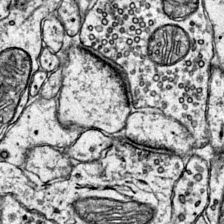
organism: Mouse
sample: Primary visual cortex